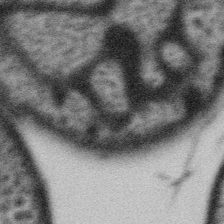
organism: Gemmata obscuriglobus